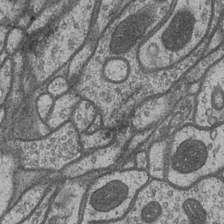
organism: Drosophila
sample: Optic medulla